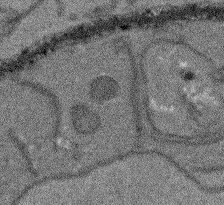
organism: Arabidopsis thaliana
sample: Root tip